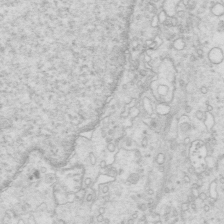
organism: Mouse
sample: Multiciliated cells